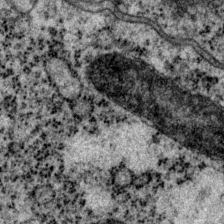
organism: P. pacificus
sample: Pharynx